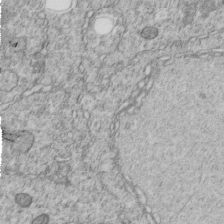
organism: C. elegans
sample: C. elegans embryo early stage